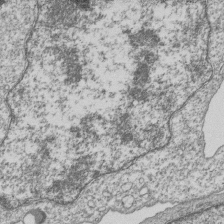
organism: Human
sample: MDA-MB-231 cells